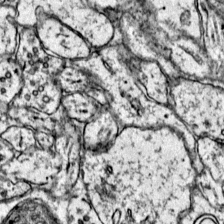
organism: Mouse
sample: Primary visual cortex